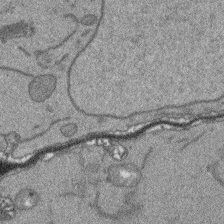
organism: Arabidopsis thaliana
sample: Root tip